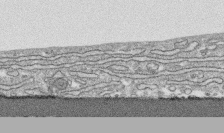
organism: Human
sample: CRL-1474